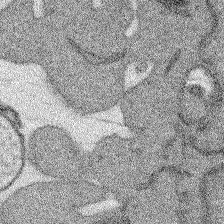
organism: Human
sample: HeLa cells